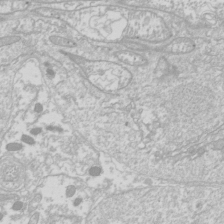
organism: Drosophila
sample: Cell division; meiosis; drosophila spermatocytes